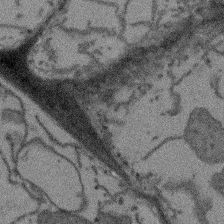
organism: Arabidopsis thaliana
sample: Root tip